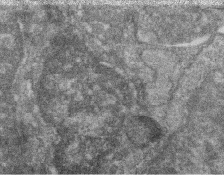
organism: Zebrafish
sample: Cilia; retinal pigment epithelium